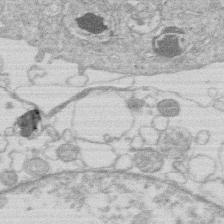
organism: Human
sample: Macrophage cells